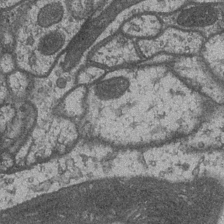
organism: Drosophila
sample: Optic medulla